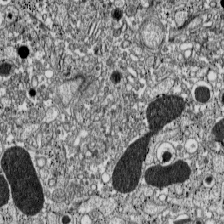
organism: C57BL Mouse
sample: Pancreatic islet